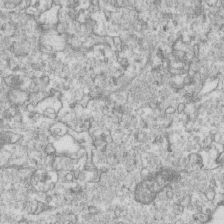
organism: Mouse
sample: Activated OT-1 CD8+ T cells